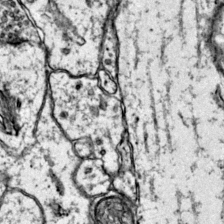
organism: Mouse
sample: Primary visual cortex